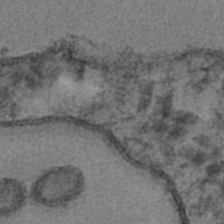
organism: C. elegans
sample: C. elegans embryo